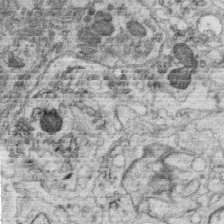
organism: C. elegans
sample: C. elegans oocyte; sperm cells